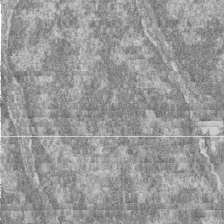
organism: Zebrafish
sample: Cilia; retinal pigment epithelium